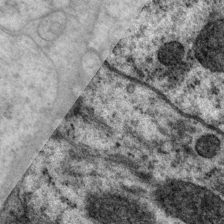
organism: P. pacificus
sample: Pharynx